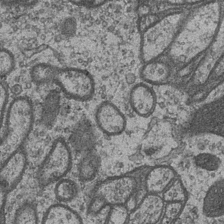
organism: Drosophila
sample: Optic medulla